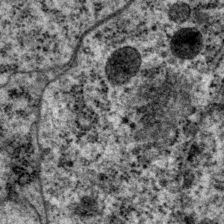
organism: P. pacificus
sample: Pharynx